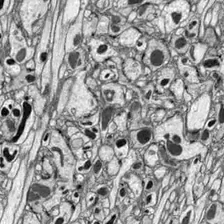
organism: Drosophila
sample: Optic lobe